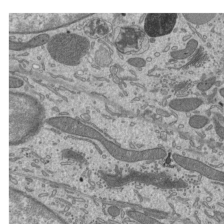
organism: Mouse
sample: Mouse epididymis efferent ductule cilia